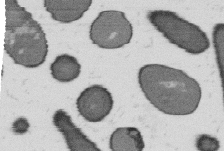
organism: B. subtilis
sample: Bacterial spore